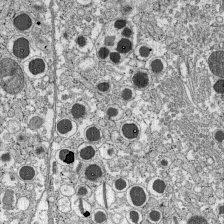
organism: C57BL Mouse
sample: Pancreatic islet